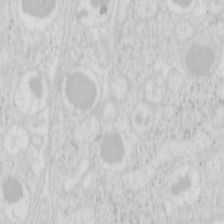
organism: Mouse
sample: Pancreas